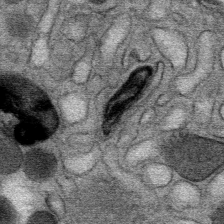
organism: Mouse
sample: Mouse Salivary gland